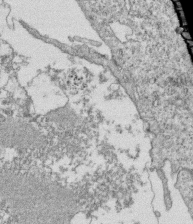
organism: Human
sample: HeLa cell HIV synapse